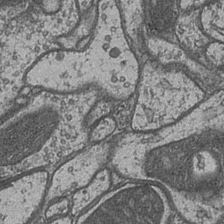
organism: Drosophila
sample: Optic medulla